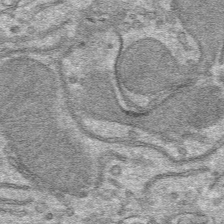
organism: Mouse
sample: Mouse hepatocytes